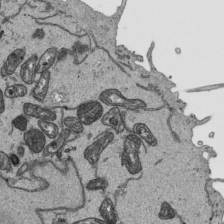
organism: Human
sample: Mitochondria in HCT116 cells